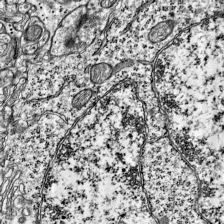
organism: Mouse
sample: Visual Cortex